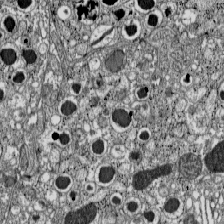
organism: C57BL Mouse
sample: Pancreatic islet